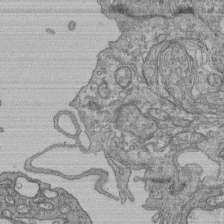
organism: Human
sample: Retinal organoid Rod and Cone cells